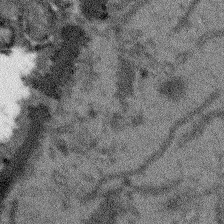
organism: Arabidopsis thaliana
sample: Root tip